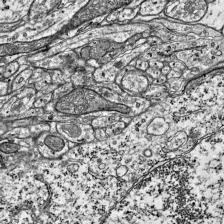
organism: Mouse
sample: Visual Cortex